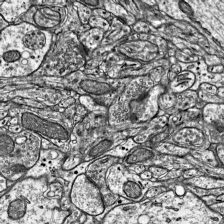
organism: Mouse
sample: Visual Cortex